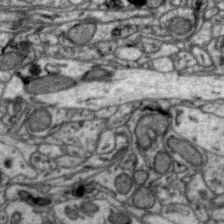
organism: Zebra finch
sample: Brain